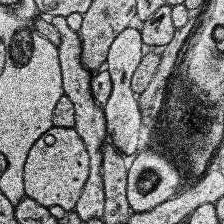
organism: Human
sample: Temporal Lobe